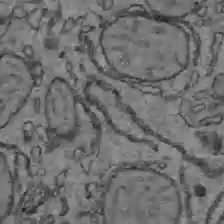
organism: C57BL Mouse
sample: Liver